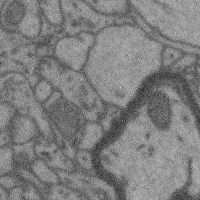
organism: Mouse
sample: Cerebral cortex